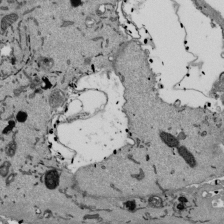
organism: Mouse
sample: ED-1 cell nuclei; centrioles